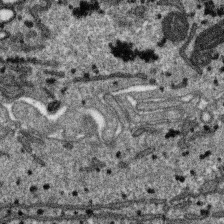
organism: Human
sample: Lung epithelial cells infected with SARS-CoV-2